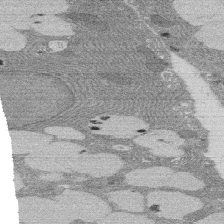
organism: Rat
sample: Salivary granule